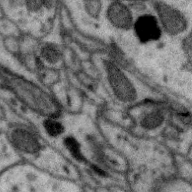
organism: Zebra finch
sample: Brain